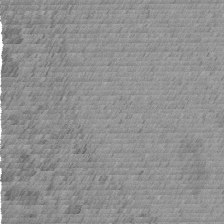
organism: C. elegans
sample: C. elegans embryo early stage